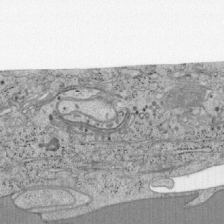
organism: Human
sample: HeLa cells